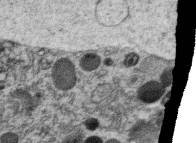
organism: C. elegans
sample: C. elegans oocyte; sperm cells